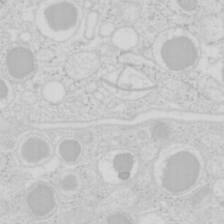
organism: Mouse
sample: Pancreas